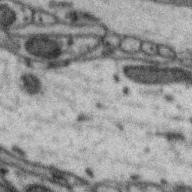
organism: Zebra finch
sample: Brain